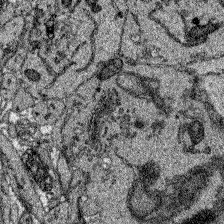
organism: Zebrafish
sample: Larval olfactory bulb